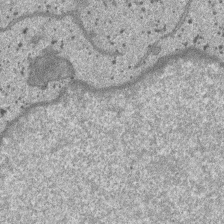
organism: Human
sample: Lung epithelial cells infected with SARS-CoV-2